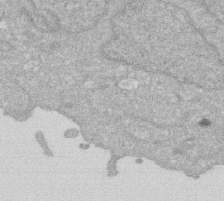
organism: Human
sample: HIV infected U937 cells